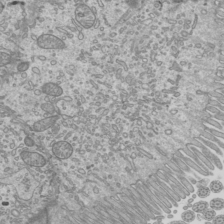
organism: Mouse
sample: Cilia; mouse epididymis